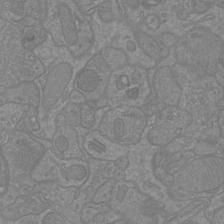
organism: Mouse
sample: Cortical neurons